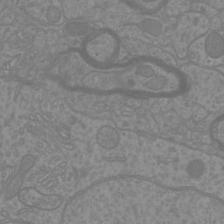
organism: Mouse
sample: Cortical neurons